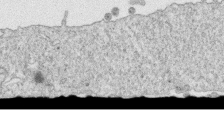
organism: Human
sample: HeLa cell HIV synapse